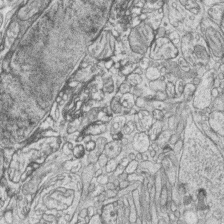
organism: Zebrafish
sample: synaptic ribbons in rod cells and cone cells